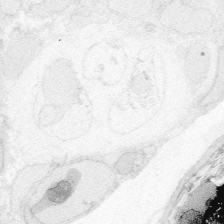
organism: Zebrafish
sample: Whole-Brain